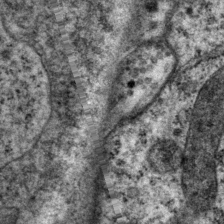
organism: P. pacificus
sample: Pharynx